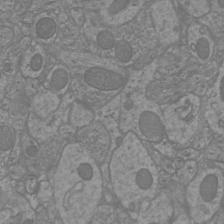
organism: Mouse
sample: Cortical neurons